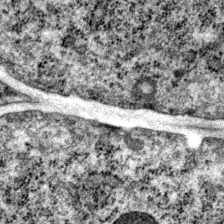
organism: P. pacificus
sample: Pharynx